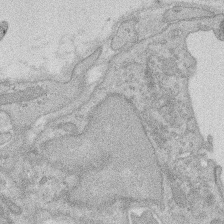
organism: Rat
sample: Salivary granule